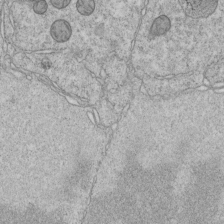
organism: C. elegans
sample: C. elegans embryo early stage